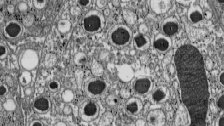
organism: C57BL Mouse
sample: Pancreatic islet